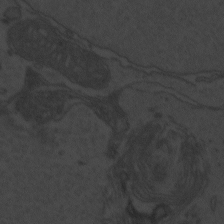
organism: Zebrafish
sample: Macrophage infected with Toxoplasma gondii